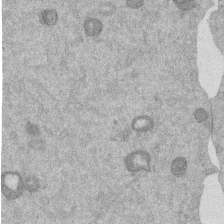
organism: Mouse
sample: Dividing mouse embryo 1 cell stage